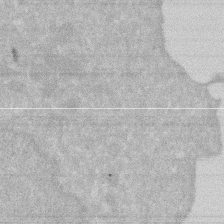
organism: Human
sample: HIV infected U937 cells